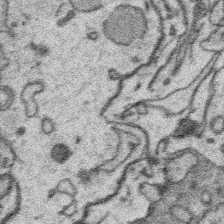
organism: Platynereis dumerilii